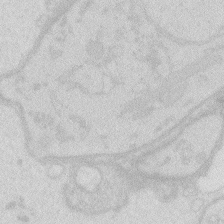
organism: Zebrafish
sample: Macrophage